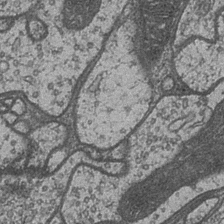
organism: Drosophila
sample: Optic medulla